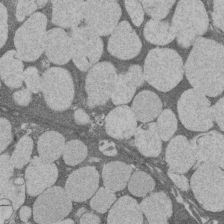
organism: Rat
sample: Salivary granule